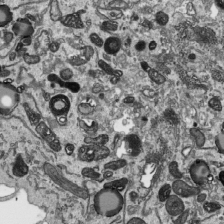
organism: Human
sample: Mitochondria in HCT116 cells